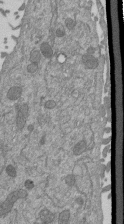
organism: Mouse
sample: ED-1 cell nuclei; centrioles